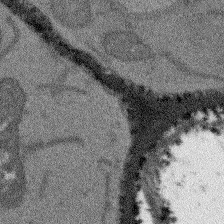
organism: Arabidopsis thaliana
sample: Root tip